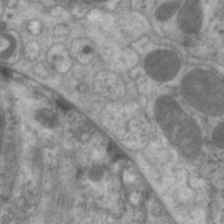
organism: C. elegans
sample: Pharynx